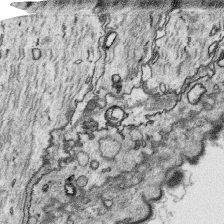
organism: Platynereis dumerilii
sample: Parapodia